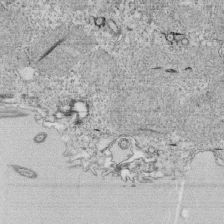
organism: Tetrahymena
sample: Cilia in tetrahymena